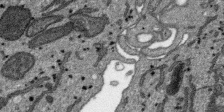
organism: Human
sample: Lung epithelial cells, uninfected (mock) control